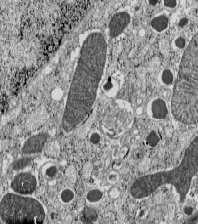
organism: C57BL Mouse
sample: Pancreatic islet